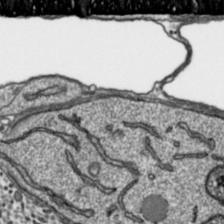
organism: Toxoplasma gondii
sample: Parasites in a vacuole inside a host cell